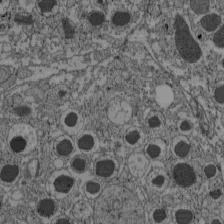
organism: C57BL Mouse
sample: Pancreatic islet